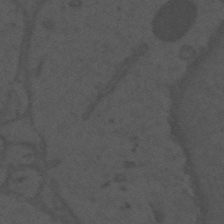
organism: Mouse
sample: Suprachiasmatic nucleus